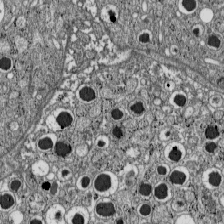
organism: C57BL Mouse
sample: Pancreatic islet